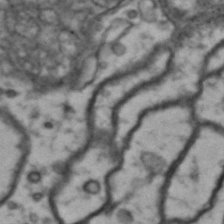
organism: Drosophila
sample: Brain